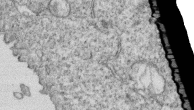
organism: Human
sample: HeLa cell HIV synapse